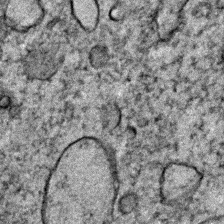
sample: Trachea